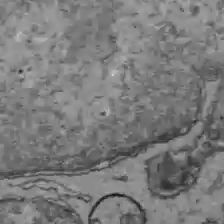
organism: C57BL Mouse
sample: Liver